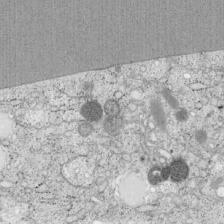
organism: African green monkey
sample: COS-7 cells